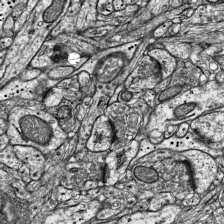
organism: Mouse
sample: Visual Cortex